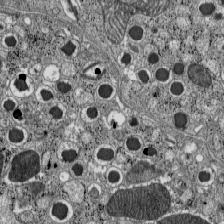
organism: C57BL Mouse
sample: Pancreatic islet